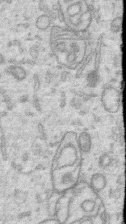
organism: Human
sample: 1205lu cells